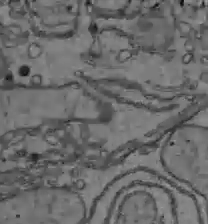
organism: C57BL Mouse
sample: Liver